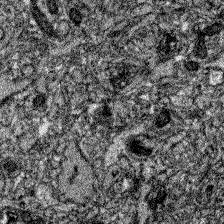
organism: Zebrafish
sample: Larval olfactory bulb